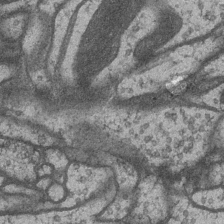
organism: Drosophila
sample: Optic medulla